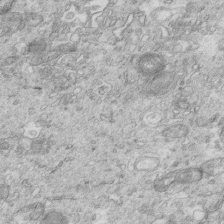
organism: Mouse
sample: Multiciliated cells